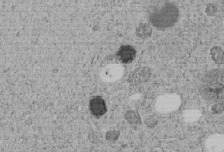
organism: C. elegans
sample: C. elegans embryo early stage